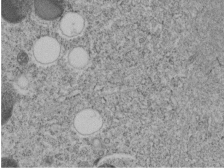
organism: C. elegans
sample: C. elegans embryo early stage